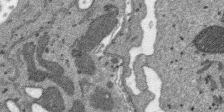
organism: Human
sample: Lung epithelial cells infected with SARS-CoV-2